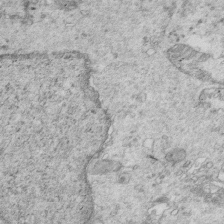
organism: Mouse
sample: Multiciliated cells